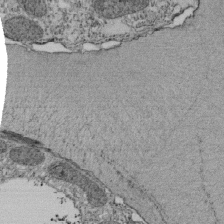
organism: Tetrahymena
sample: Cilia in tetrahymena